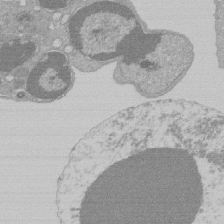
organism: Mouse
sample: Activated Pmel transgenic CD8+ T Cells